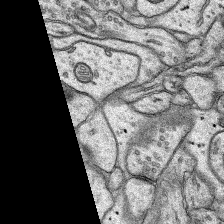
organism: Rat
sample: Hippocampus